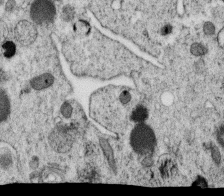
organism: C. elegans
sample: C. elegans oocyte; sperm cells